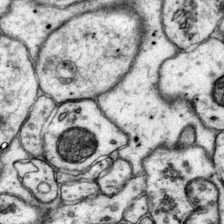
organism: Mouse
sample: Primary visual cortex